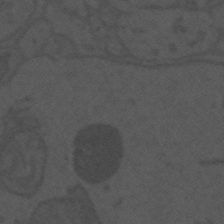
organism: Mouse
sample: Suprachiasmatic nucleus